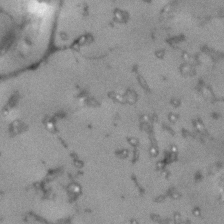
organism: Human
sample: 1205lu cells